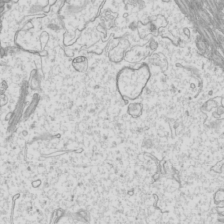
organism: Mouse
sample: Cilia; mouse epididymis